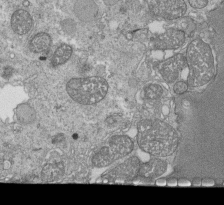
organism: Tetrahymena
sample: Cilia in tetrahymena